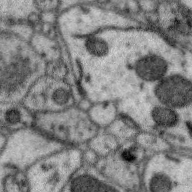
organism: Zebra finch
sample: Brain